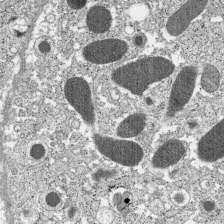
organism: C57BL Mouse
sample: Pancreatic islet